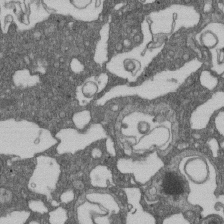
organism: Drosophila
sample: Nephrocyte